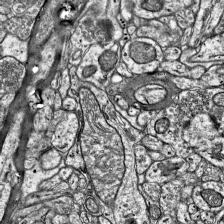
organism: Mouse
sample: Visual Cortex